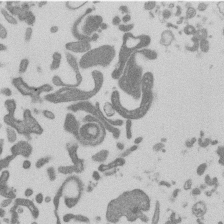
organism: Mouse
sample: Dividing mouse embryo 1 cell stage